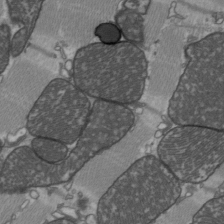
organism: C57BL Mouse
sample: Heart